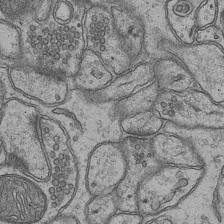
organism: Mouse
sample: CA1 Hippocampus